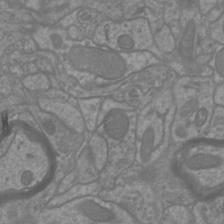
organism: Mouse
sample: Cortical neurons